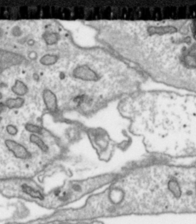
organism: Toxoplasma gondii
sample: Parasites in a vacuole inside a host cell